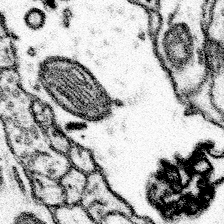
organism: Mouse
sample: Somatosensory cortex neuropil